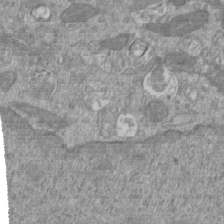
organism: Mouse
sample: ED-1 cell nuclei; centrioles